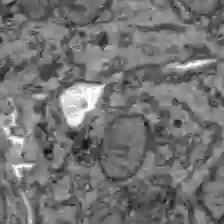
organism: C57BL Mouse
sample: Liver